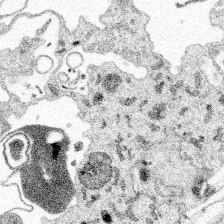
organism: Spongilla lacustris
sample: Multiple